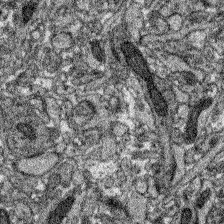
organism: Zebrafish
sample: Larval olfactory bulb